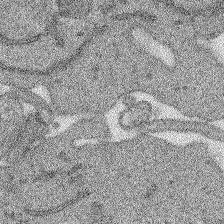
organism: Human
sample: HeLa cells